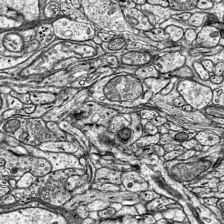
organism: Mouse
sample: Visual Cortex